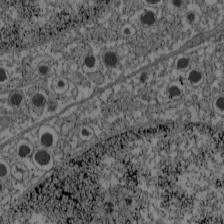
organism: C57BL Mouse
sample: Pancreatic islet